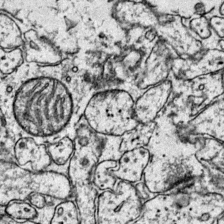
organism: Mouse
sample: Primary visual cortex